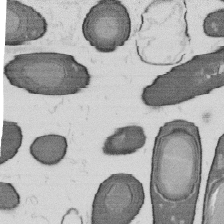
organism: B. subtilis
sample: Bacterial spore